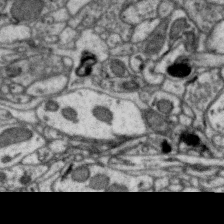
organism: Zebra finch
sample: Brain